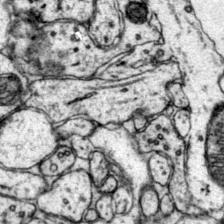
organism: Mouse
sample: Primary visual cortex